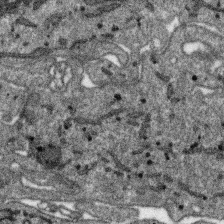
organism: Human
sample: Lung epithelial cells infected with SARS-CoV-2